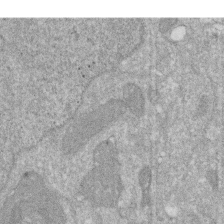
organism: Human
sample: HIV infected U937 cells